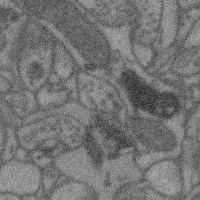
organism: Mouse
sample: Cerebral cortex